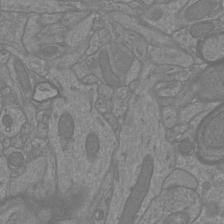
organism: Mouse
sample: Cortical neurons